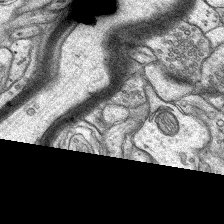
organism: Rat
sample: Hippocampus